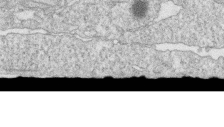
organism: Human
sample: HeLa cell HIV synapse